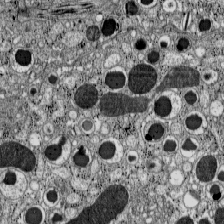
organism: C57BL Mouse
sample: Pancreatic islet